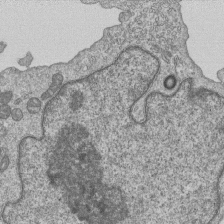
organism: Human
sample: MDA-MB-231 cells